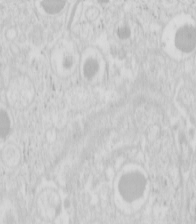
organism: Mouse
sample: Pancreas